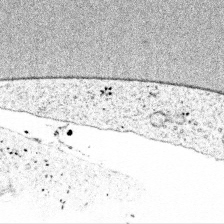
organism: Human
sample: HeLa cells